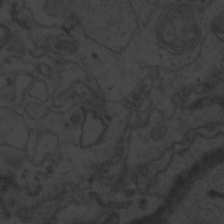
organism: Zebrafish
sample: Macrophage infected with Toxoplasma gondii